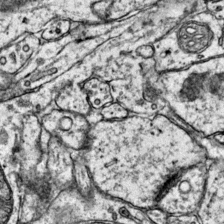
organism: Mouse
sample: Primary visual cortex